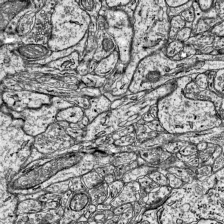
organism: Mouse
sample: Visual Cortex